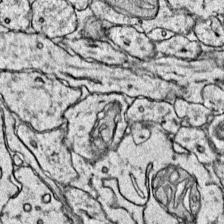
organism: Mouse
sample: Primary visual cortex